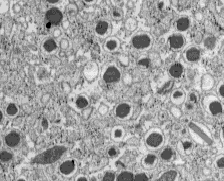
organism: C57BL Mouse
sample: Pancreatic islet